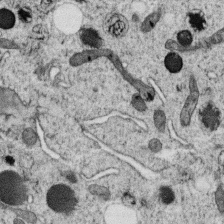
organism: C. elegans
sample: C. elegans oocyte; sperm cells